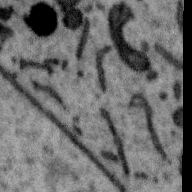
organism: Zebra finch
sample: Brain